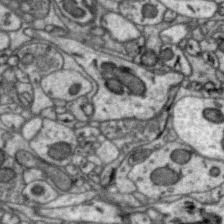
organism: Zebra finch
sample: Brain